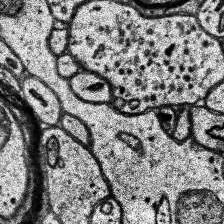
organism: Human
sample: Temporal Lobe